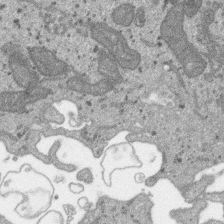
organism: Human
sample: Lung epithelial cells infected with SARS-CoV-2